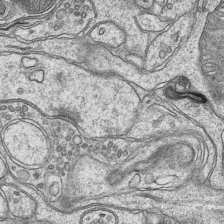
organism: Mouse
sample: CA1 Hippocampus